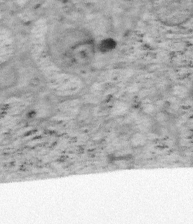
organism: Mouse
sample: OT-I killer T cells with ID8 ovarian cancer cells